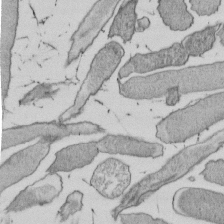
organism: E. coli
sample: Bacterial nucleoid